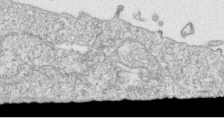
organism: Human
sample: HeLa cell HIV synapse